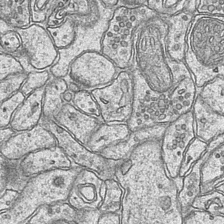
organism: Mouse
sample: CA1 Hippocampus